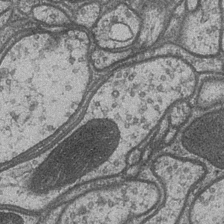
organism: Drosophila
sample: Optic medulla